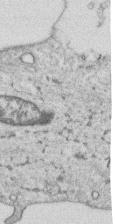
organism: Human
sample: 1205lu cells